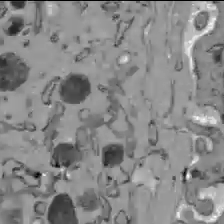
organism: C57BL Mouse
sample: Liver